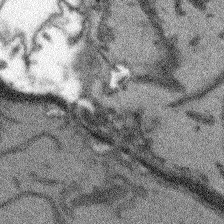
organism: Arabidopsis thaliana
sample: Root tip